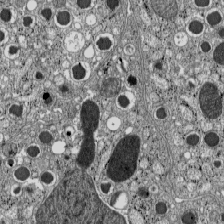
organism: C57BL Mouse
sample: Pancreatic islet